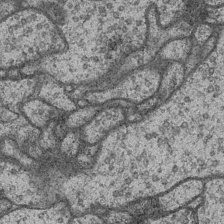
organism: Drosophila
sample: Optic medulla